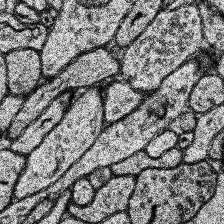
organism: Human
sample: Temporal Lobe